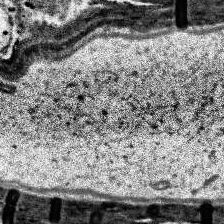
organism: Human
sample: Temporal Lobe